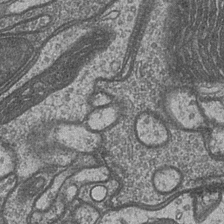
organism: Drosophila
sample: Optic medulla